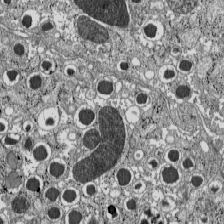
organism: C57BL Mouse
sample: Pancreatic islet